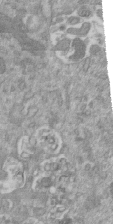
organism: Mouse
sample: ED-1 cell nuclei; centrioles